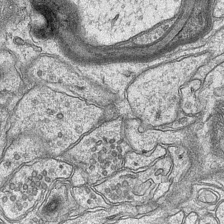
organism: Mouse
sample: CA1 Hippocampus